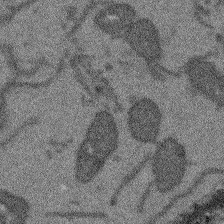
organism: Arabidopsis thaliana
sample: Root tip